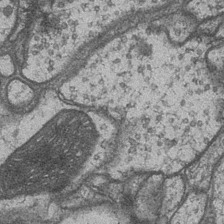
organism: Drosophila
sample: Optic medulla